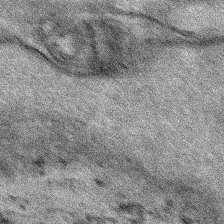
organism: Human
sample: Mitochondria in HCT116 cells